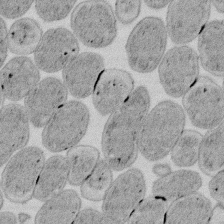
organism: E. coli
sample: Bacterial nucleoid